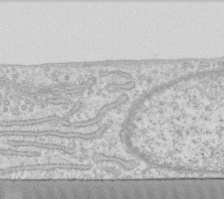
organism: Human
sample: Fibroblast cells